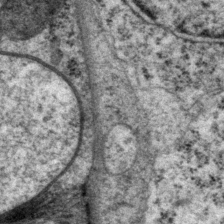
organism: P. pacificus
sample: Pharynx